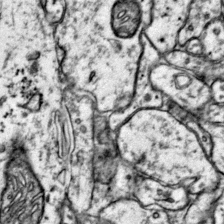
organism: Mouse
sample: Primary visual cortex